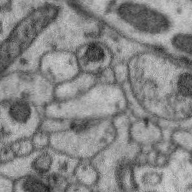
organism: Zebra finch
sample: Brain